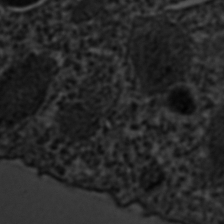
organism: C. elegans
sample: C. elegans embryo